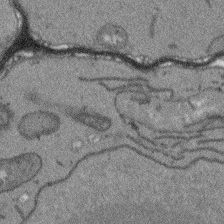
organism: Arabidopsis thaliana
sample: Root tip